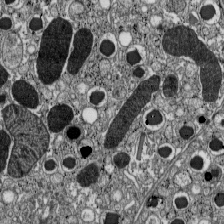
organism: C57BL Mouse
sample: Pancreatic islet